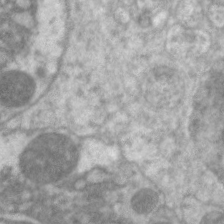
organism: C. elegans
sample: Pharynx